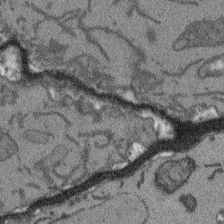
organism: Arabidopsis thaliana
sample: Root tip